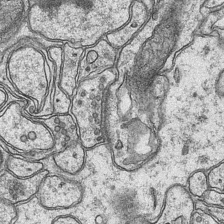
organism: Mouse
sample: CA1 Hippocampus